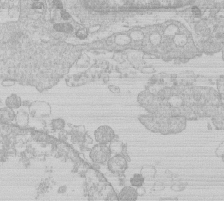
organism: Human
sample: Macrophage cells